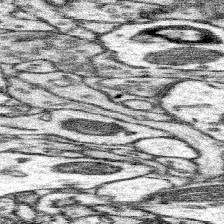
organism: Mouse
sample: Somatosensory cortex neuropil